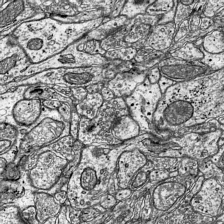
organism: Mouse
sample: Visual Cortex